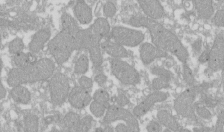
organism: Xenopus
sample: Cilia; centrioles in frog embryo cells